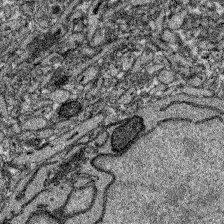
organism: Zebrafish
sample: Larval olfactory bulb